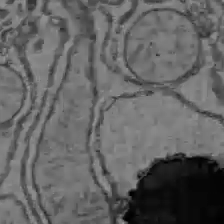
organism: C57BL Mouse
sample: Liver